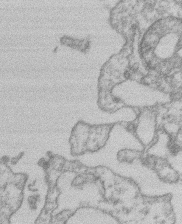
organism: Mouse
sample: T cell stromal cell synapse